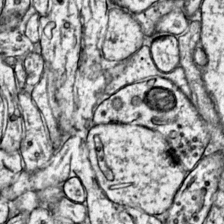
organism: Mouse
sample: Primary visual cortex